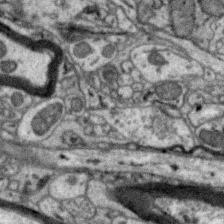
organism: Zebra finch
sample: Brain